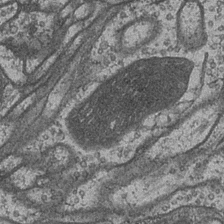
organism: Drosophila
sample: Optic medulla